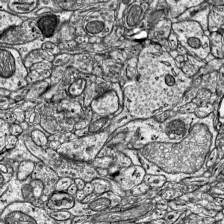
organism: Mouse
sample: Visual Cortex